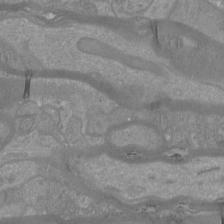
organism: Mouse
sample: Cortical neurons